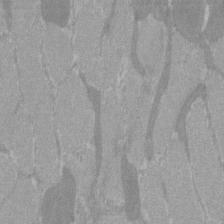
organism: C57BL Mouse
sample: Tibialis anterior muscle cell